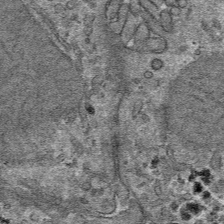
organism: Mouse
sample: Mouse hepatocytes